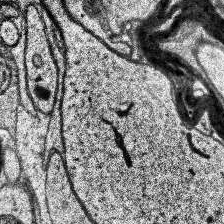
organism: Human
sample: Temporal Lobe